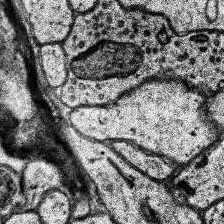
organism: Human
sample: Temporal Lobe